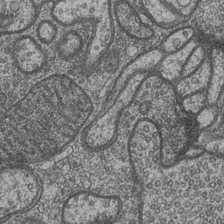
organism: Drosophila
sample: Optic medulla